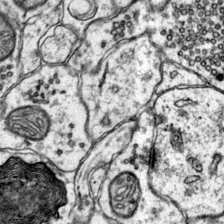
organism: Mouse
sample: Primary visual cortex